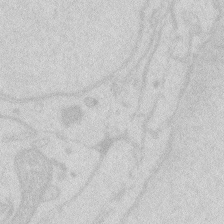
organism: Zebrafish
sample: Macrophage